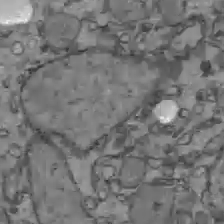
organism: C57BL Mouse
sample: Liver